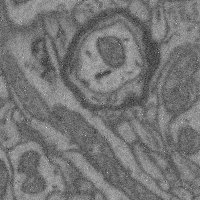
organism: Mouse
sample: Cerebral cortex